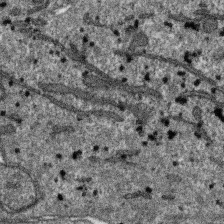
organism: Human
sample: Lung epithelial cells infected with SARS-CoV-2